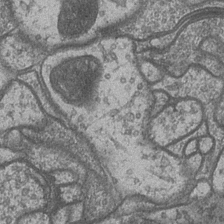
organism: Drosophila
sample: Optic medulla